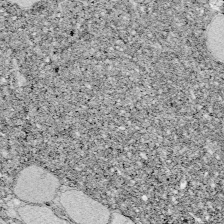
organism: Zebrafish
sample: Whole-Brain